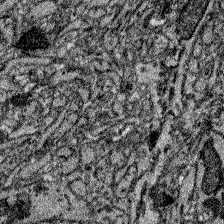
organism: Zebrafish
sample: Larval olfactory bulb